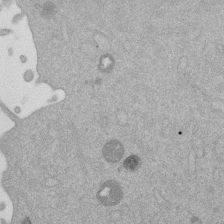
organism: Mouse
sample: Dividing mouse embryo 1 cell stage